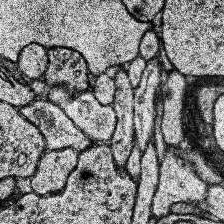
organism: Human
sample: Temporal Lobe